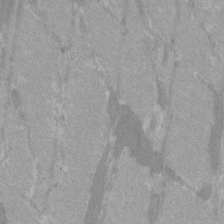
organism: C57BL Mouse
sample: Tibialis anterior muscle cell